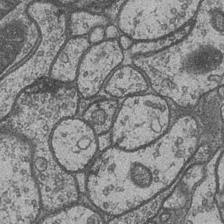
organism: Drosophila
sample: Optic medulla